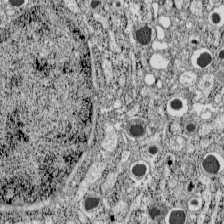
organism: C57BL Mouse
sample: Pancreatic islet